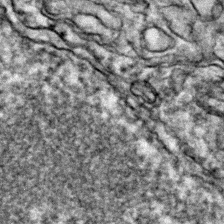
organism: Zebrafish